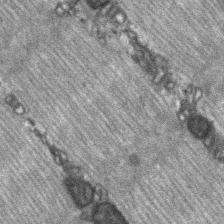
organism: C57BL Mouse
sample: Soleus